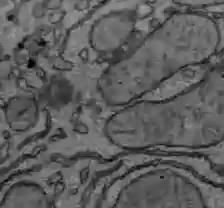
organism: C57BL Mouse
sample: Liver